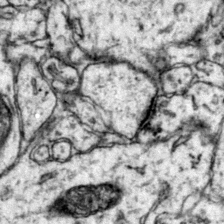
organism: Mouse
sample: Primary visual cortex